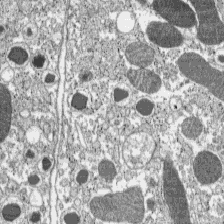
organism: C57BL Mouse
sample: Pancreatic islet